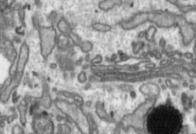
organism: Toxoplasma gondii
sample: Parasites in a vacuole inside a host cell